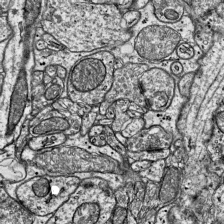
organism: Mouse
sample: Visual Cortex